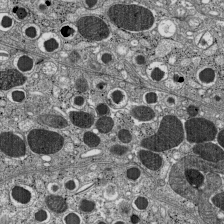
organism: C57BL Mouse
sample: Pancreatic islet